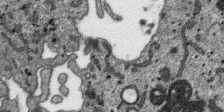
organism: Human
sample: Lung epithelial cells infected with SARS-CoV-2